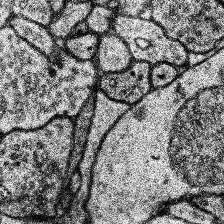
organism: Human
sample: Temporal Lobe